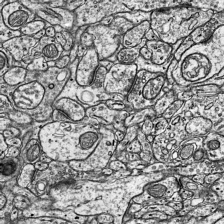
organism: Mouse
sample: Visual Cortex